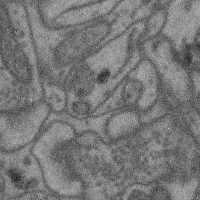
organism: Mouse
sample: Cerebral cortex